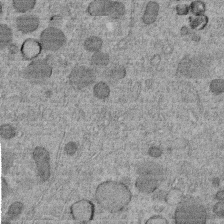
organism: C. elegans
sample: C. elegans embryo early stage